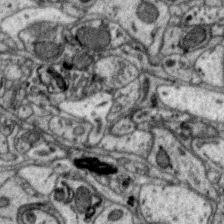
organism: Zebra finch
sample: Brain